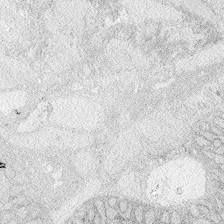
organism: Zebrafish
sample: Whole-Brain